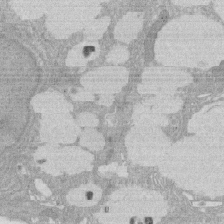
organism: Rat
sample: Salivary granule